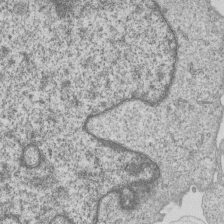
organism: Human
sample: MDA-MB-231 cells